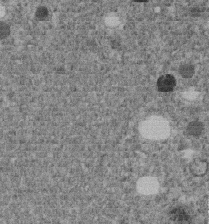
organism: C. elegans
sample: C. elegans embryo early stage